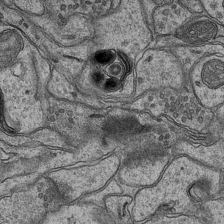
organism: Mouse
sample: CA1 Hippocampus